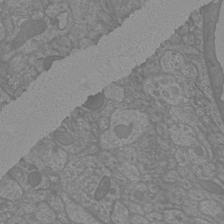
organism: Mouse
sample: Cortical neurons